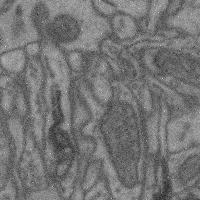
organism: Mouse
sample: Cerebral cortex